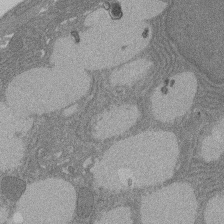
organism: Rat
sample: Salivary granule